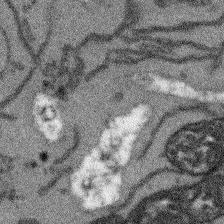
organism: Arabidopsis thaliana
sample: Root tip